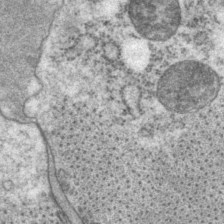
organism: P. pacificus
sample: Pharynx